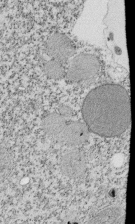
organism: Tetrahymena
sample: Cilia in tetrahymena